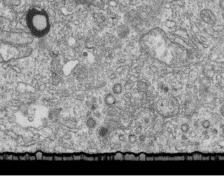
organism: Human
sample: HeLa cell HIV synapse